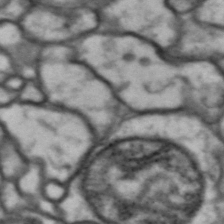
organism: Drosophila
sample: Brain